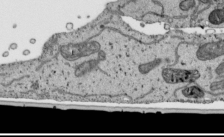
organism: Human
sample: Mitochondria in HCT116 cells